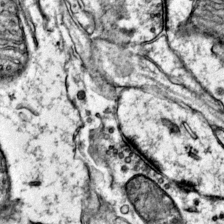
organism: Mouse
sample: Primary visual cortex